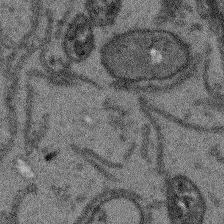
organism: Arabidopsis thaliana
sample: Root tip